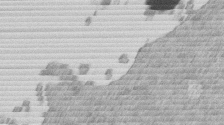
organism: Mouse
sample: Dividing mouse embryo 1 cell stage